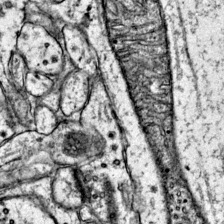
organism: Mouse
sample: Primary visual cortex